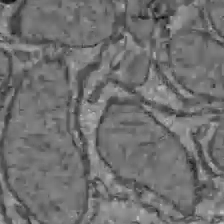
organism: C57BL Mouse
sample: Liver